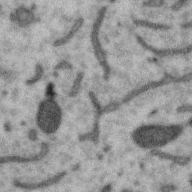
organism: Zebra finch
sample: Brain